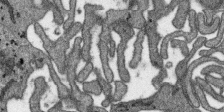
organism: Human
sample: Lung epithelial cells, uninfected (mock) control